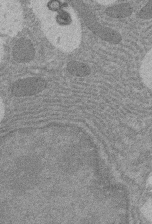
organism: Rat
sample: Salivary granule